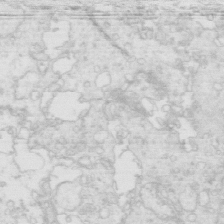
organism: Mouse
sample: Multiciliated cells